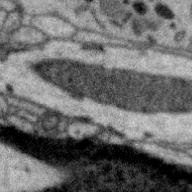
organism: Zebra finch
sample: Brain